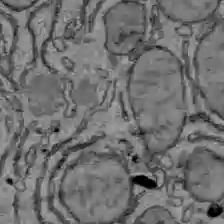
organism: C57BL Mouse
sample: Liver